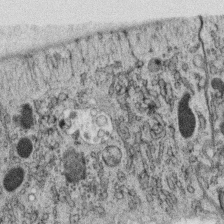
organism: C. elegans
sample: C. elegans oocyte; sperm cells